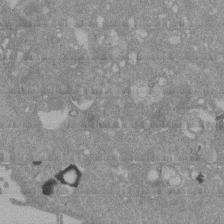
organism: Mouse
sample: ED-1 cell nuclei; centrioles